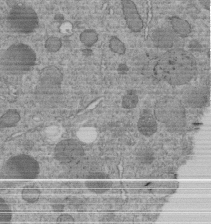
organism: C. elegans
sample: C. elegans embryo early stage